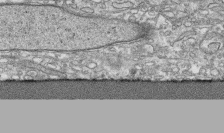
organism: Human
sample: CRL-1474